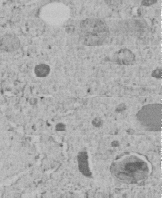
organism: C. elegans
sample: C. elegans embryo early stage